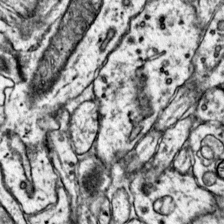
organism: Mouse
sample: Primary visual cortex